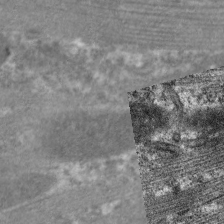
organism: C. elegans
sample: Pharynx